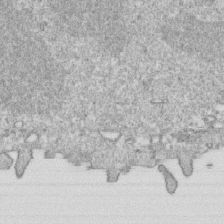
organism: Mouse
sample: Activated OT-1 CD8+ T cells